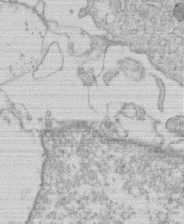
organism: Human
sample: Macrophage cells